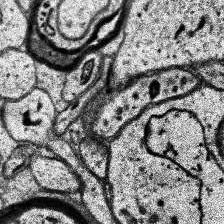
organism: Human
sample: Temporal Lobe